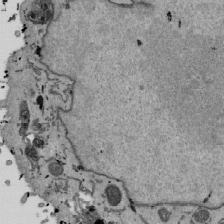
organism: Mouse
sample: ED-1 cell nuclei; centrioles